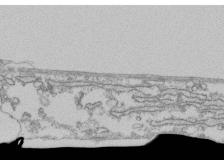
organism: Human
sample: Fibroblast cells